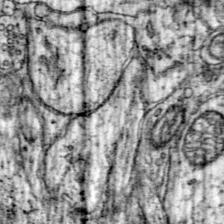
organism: Mouse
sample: Primary visual cortex